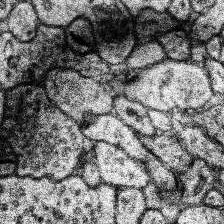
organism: Human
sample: Temporal Lobe